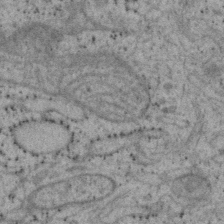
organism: Human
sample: HeLa cells